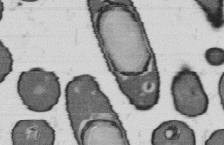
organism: B. subtilis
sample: Bacterial spore